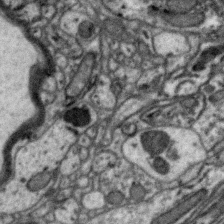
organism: Zebra finch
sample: Brain